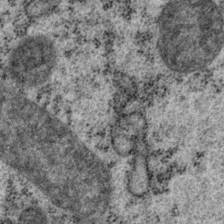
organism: P. pacificus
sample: Pharynx